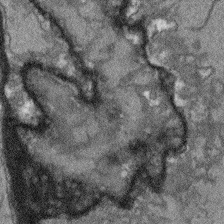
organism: Arabidopsis thaliana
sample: Root tip